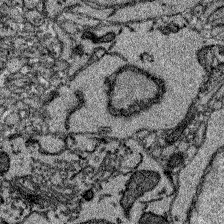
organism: Zebrafish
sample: Larval olfactory bulb